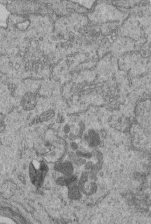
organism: Human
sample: Retinal organoid Rod and Cone cells